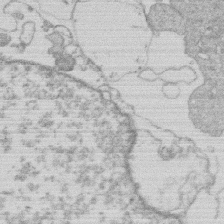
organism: Human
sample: Macrophage cells